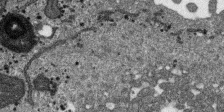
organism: Human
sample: Lung epithelial cells infected with SARS-CoV-2